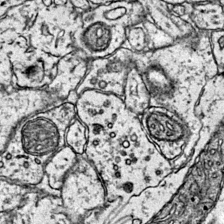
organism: Mouse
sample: Primary visual cortex